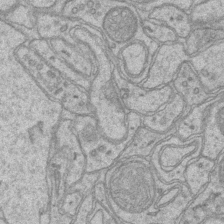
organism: Mouse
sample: CA1 Hippocampus